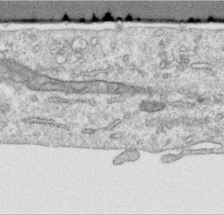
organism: Human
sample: Centriole in RPE cells